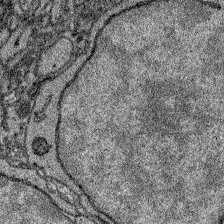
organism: Zebrafish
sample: Larval olfactory bulb